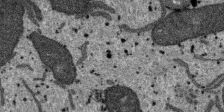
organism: Human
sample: Lung epithelial cells, uninfected (mock) control